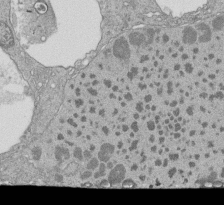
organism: Tetrahymena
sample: Cilia in tetrahymena